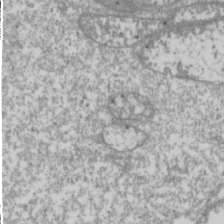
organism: Drosophila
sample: Cell division; meiosis; drosophila spermatocytes